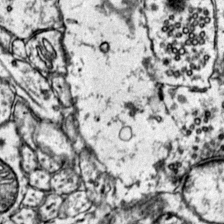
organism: Mouse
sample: Primary visual cortex